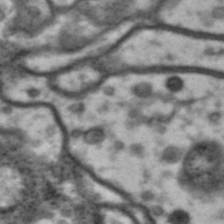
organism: Drosophila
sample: Brain